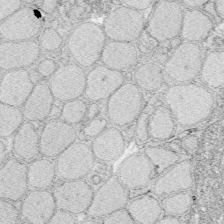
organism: Zebrafish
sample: Whole-Brain